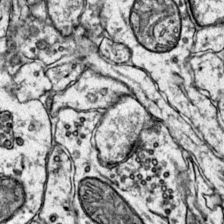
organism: Mouse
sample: Primary visual cortex